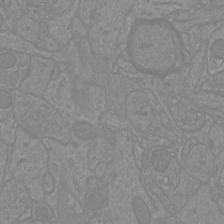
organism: Mouse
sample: Cortical neurons